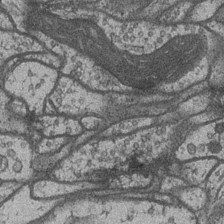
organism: Drosophila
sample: Optic medulla